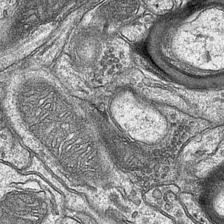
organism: Mouse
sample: CA1 Hippocampus